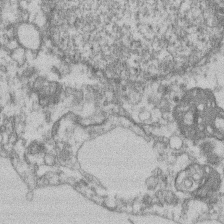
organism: Mouse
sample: T cell stromal cell synapse